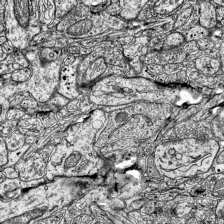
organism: Mouse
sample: Visual Cortex